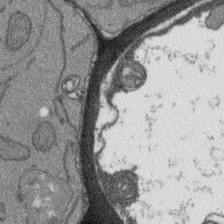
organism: Arabidopsis thaliana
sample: Root tip